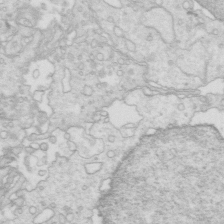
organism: Mouse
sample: Multiciliated cells